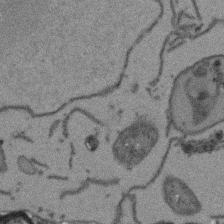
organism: Arabidopsis thaliana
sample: Root tip